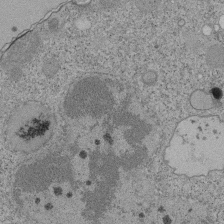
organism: Tetrahymena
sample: Cilia in tetrahymena